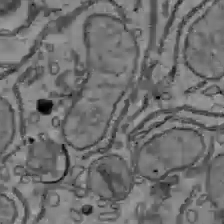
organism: C57BL Mouse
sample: Liver